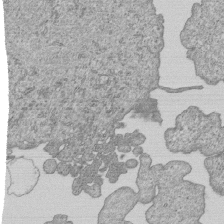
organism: Human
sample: MDA-MB-231 cells